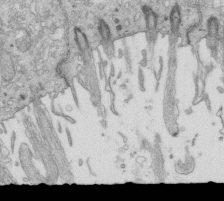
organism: Mouse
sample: Multiciliated cells